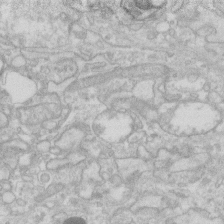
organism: Human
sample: Fibroblast cells